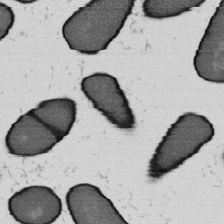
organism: B. subtilis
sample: Bacterial spore